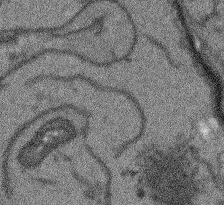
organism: Arabidopsis thaliana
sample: Root tip